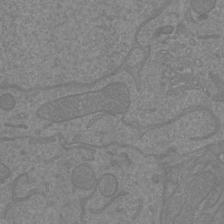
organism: Mouse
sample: Cortical neurons